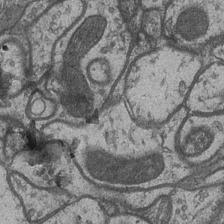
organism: Drosophila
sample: Optic medulla